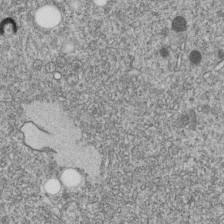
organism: C. elegans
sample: C. elegans embryo early stage